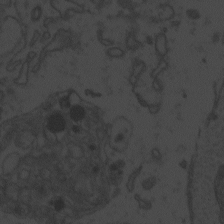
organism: Zebrafish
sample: Macrophage infected with Toxoplasma gondii